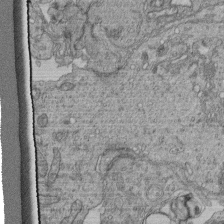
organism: Human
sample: Retinal organoid Rod and Cone cells